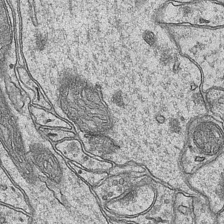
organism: Mouse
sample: CA1 Hippocampus